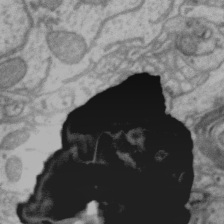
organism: Zebra finch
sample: Brain